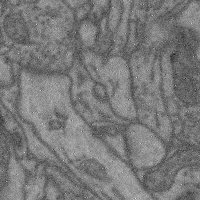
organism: Mouse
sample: Cerebral cortex